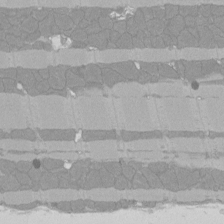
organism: Rat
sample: Left ventricle